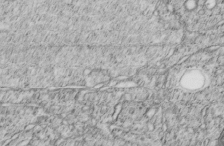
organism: C. elegans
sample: C. elegans embryo early stage